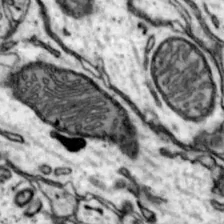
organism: Mouse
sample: Nucleus accumbens